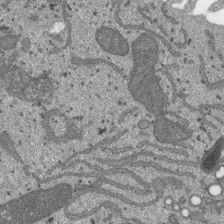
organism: Human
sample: Lung epithelial cells infected with SARS-CoV-2